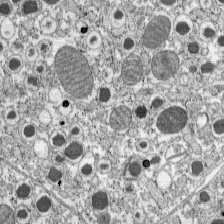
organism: C57BL Mouse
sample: Pancreatic islet